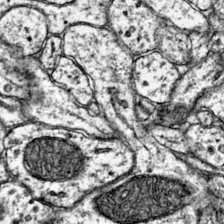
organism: Mouse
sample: Primary visual cortex